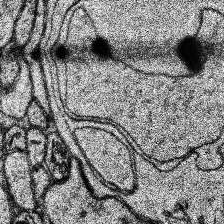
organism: Human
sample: Temporal Lobe